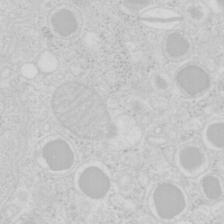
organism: Mouse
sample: Pancreas